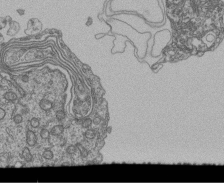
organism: Human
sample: Retinal organoid Rod and Cone cells